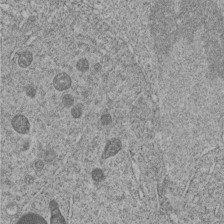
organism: C. elegans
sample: C. elegans embryo early stage